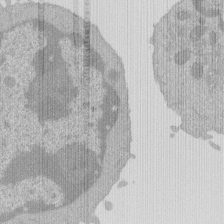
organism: Mouse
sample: Activated Pmel transgenic CD8+ T Cells